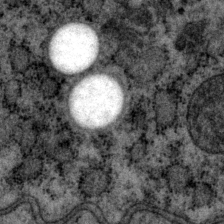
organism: P. pacificus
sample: Pharynx